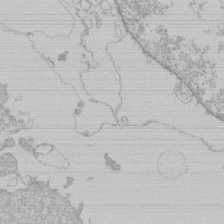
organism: Human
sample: Macrophage cells